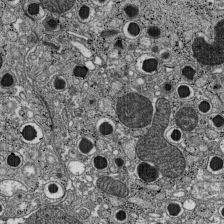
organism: C57BL Mouse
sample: Pancreatic islet